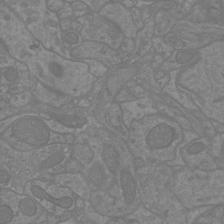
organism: Mouse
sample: Cortical neurons